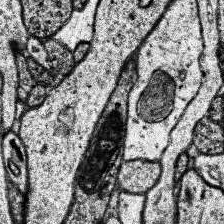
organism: Human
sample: Temporal Lobe